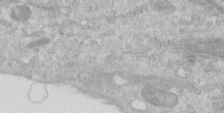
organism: Human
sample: Centriole in RPE cells